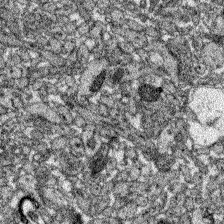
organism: Zebrafish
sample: Larval olfactory bulb